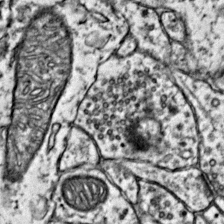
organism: Mouse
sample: Primary visual cortex